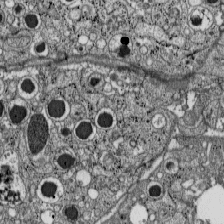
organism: C57BL Mouse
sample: Pancreatic islet